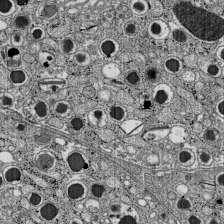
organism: C57BL Mouse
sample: Pancreatic islet